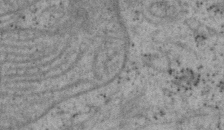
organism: Human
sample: HeLa cells